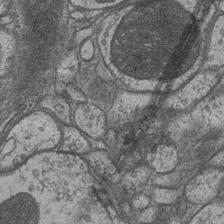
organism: Drosophila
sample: Optic medulla